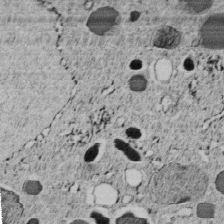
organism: C. elegans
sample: C. elegans embryo early stage